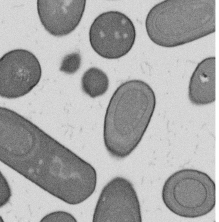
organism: B. subtilis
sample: Bacterial spore